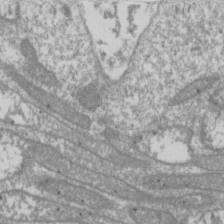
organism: Drosophila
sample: Cell division; meiosis; drosophila spermatocytes